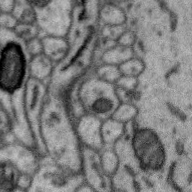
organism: Zebra finch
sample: Brain